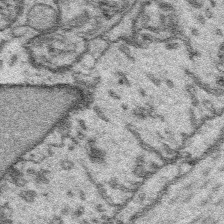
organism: Platynereis dumerilii